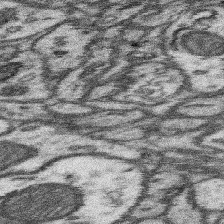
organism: Mouse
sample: Somatosensory cortex neuropil